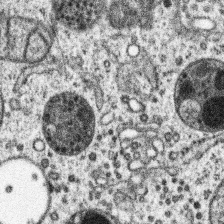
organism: Human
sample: HeLa cells